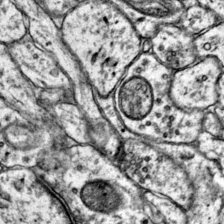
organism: Mouse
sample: Primary visual cortex